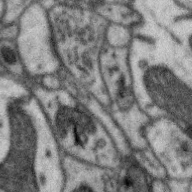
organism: Zebra finch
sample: Brain